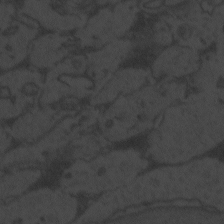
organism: Zebrafish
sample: Macrophage infected with Toxoplasma gondii